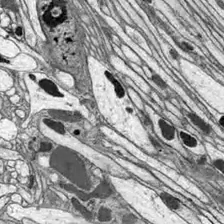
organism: Drosophila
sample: Optic lobe